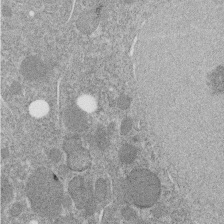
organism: C. elegans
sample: C. elegans embryo early stage